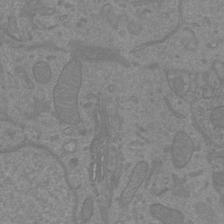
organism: Mouse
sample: Cortical neurons